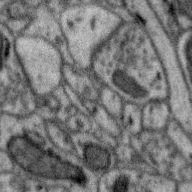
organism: Zebra finch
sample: Brain